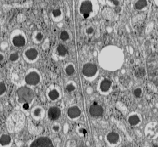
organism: C57BL Mouse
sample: Pancreatic islet